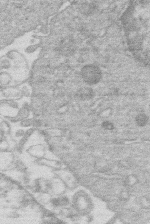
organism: Human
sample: Macrophage cells